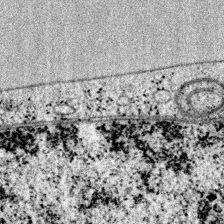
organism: Human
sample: HeLa cells